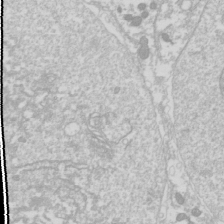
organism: Drosophila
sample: Cell division; meiosis; drosophila spermatocytes